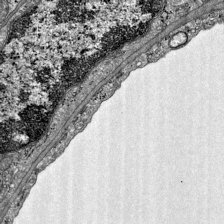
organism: Mouse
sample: Visual Cortex